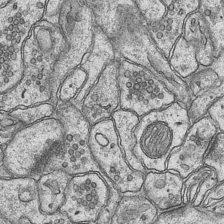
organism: Mouse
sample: CA1 Hippocampus